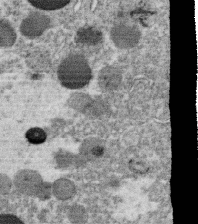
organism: C. elegans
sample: C. elegans oocyte; sperm cells